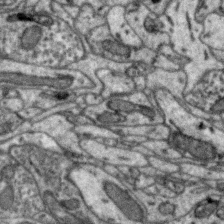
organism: Zebra finch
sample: Brain